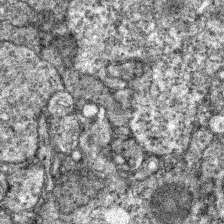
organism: Zebrafish